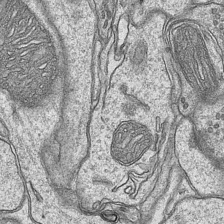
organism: Mouse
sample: CA1 Hippocampus